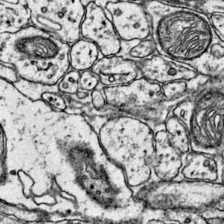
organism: Mouse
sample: Primary visual cortex